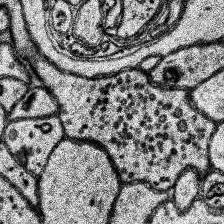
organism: Human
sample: Temporal Lobe